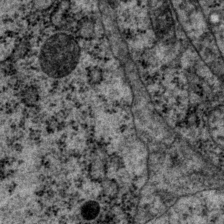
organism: P. pacificus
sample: Pharynx